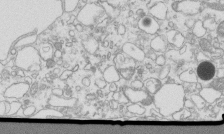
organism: Mouse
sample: Macrophages